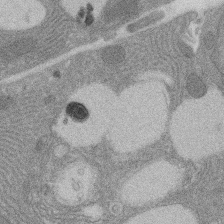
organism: Rat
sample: Salivary granule